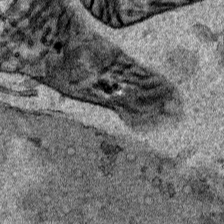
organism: Human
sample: Mitochondria in HCT116 cells